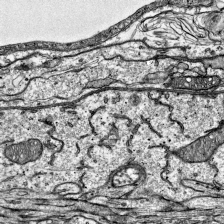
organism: Mouse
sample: Visual Cortex